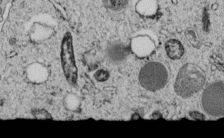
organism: C. elegans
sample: C. elegans embryo early stage